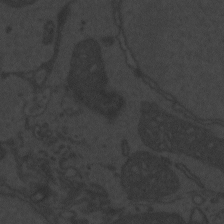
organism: Zebrafish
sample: Macrophage infected with Toxoplasma gondii